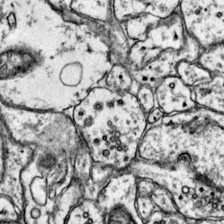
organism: Mouse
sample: Primary visual cortex